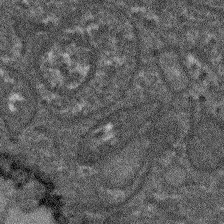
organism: Arabidopsis thaliana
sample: Root tip